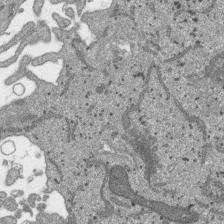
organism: Human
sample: Lung epithelial cells infected with SARS-CoV-2